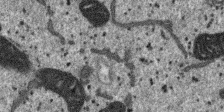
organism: Human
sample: Lung epithelial cells infected with SARS-CoV-2